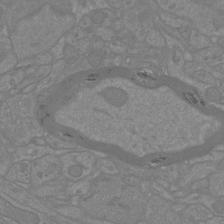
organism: Mouse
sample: Cortical neurons